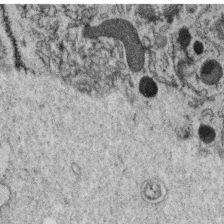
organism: C. elegans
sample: C. elegans oocyte; sperm cells